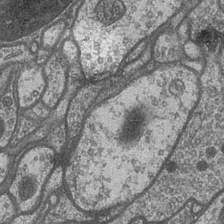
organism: Drosophila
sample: Optic medulla